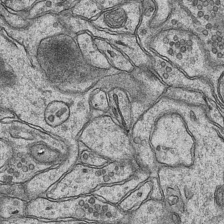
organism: Mouse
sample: CA1 Hippocampus